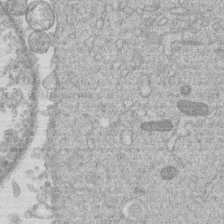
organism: Human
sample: Macrophage cells